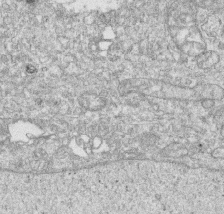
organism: Human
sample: HeLa cell HIV synapse